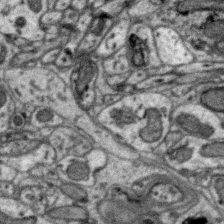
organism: Zebra finch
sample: Brain